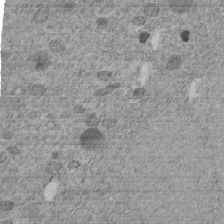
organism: C. elegans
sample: C. elegans embryo early stage